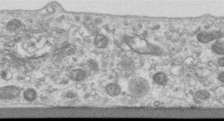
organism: Human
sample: Centriole in RPE cells